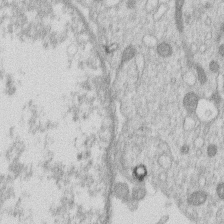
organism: Human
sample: Macrophage cells